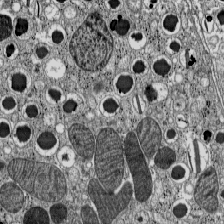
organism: C57BL Mouse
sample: Pancreatic islet